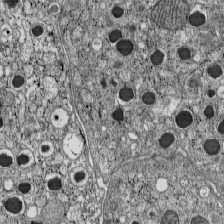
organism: C57BL Mouse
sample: Pancreatic islet